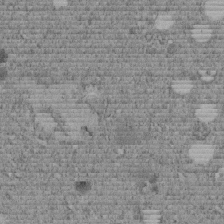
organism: C. elegans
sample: C. elegans embryo early stage